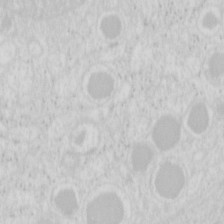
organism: Mouse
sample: Pancreas